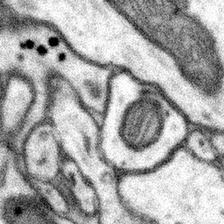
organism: Mouse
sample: Somatosensory cortex neuropil